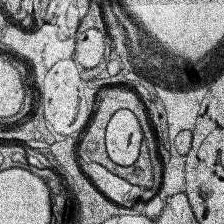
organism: Human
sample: Temporal Lobe